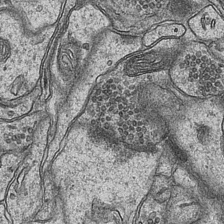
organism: Mouse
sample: CA1 Hippocampus